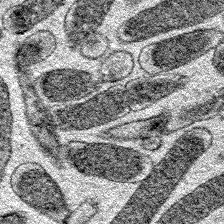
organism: E. coli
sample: E. Coli Bacteria